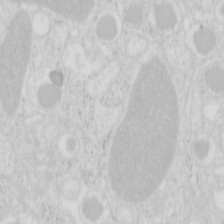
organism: Mouse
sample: Pancreas